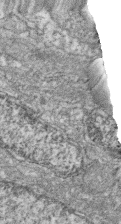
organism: Zebrafish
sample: Cilia; retinal pigment epithelium